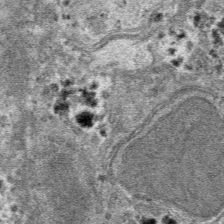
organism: Mouse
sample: Mouse hepatocytes